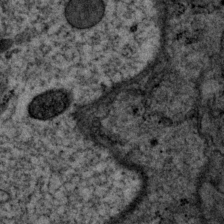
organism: P. pacificus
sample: Pharynx